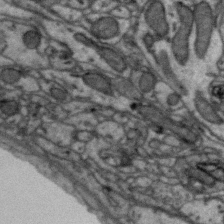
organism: Zebra finch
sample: Brain